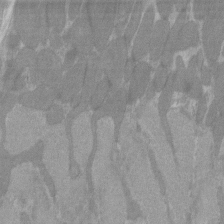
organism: C57BL Mouse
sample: Tibialis anterior muscle cell